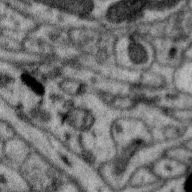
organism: Zebra finch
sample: Brain